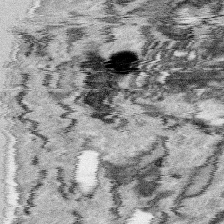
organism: Human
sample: HeLa cells